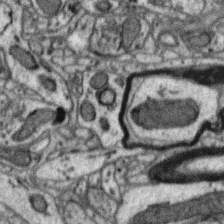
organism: Zebra finch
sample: Brain